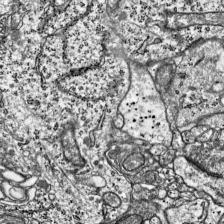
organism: Mouse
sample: Visual Cortex